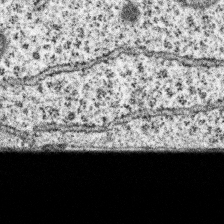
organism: Human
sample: HeLa cells